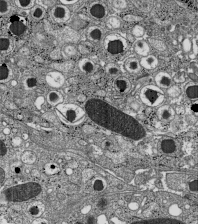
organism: C57BL Mouse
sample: Pancreatic islet